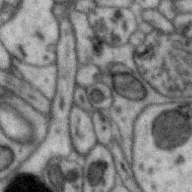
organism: Zebra finch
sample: Brain